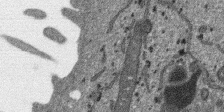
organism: Human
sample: Lung epithelial cells infected with SARS-CoV-2